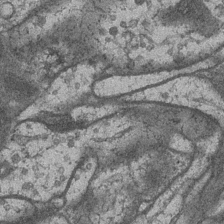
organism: Drosophila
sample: Optic medulla